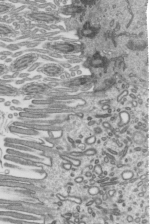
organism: Mouse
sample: Mouse epididymis efferent ductule cilia